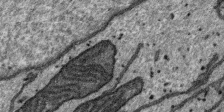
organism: Human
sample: Lung epithelial cells, uninfected (mock) control